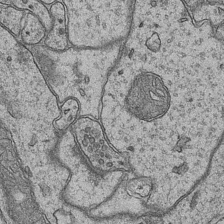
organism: Mouse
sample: CA1 Hippocampus